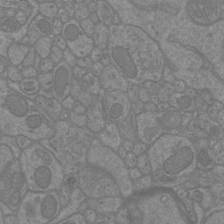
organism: Mouse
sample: Cortical neurons